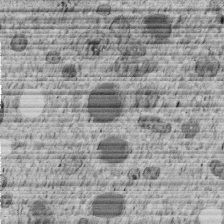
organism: C. elegans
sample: C. elegans embryo early stage